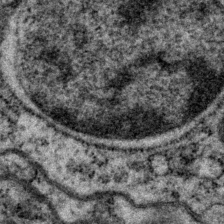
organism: P. pacificus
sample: Pharynx